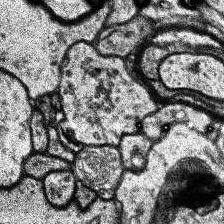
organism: Human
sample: Temporal Lobe